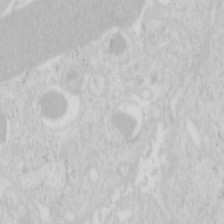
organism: Mouse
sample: Pancreas